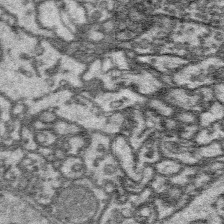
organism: Platynereis dumerilii